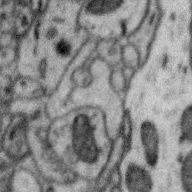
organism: Zebra finch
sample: Brain